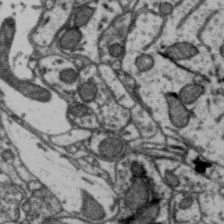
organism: Zebra finch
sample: Brain